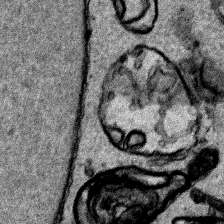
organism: Human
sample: Mitochondria in HCT116 cells